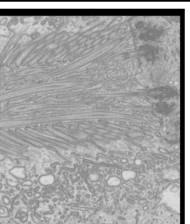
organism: Mouse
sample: Cilia; mouse epididymis